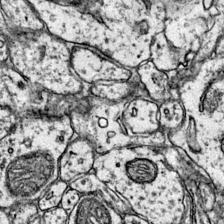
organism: Mouse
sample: Primary visual cortex